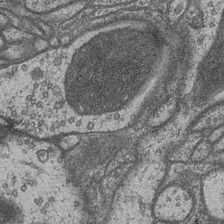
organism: Drosophila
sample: Optic medulla